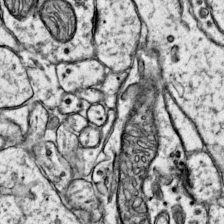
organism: Mouse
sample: Primary visual cortex